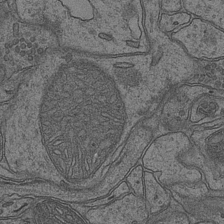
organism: Mouse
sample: CA1 Hippocampus